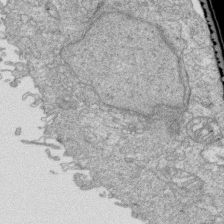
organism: Human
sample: HeLa cell HIV synapse